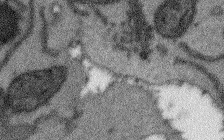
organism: Arabidopsis thaliana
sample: Root tip